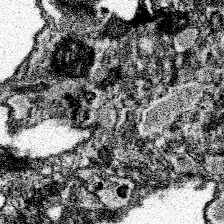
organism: Spongilla lacustris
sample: Neuroid cell